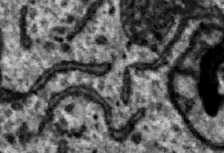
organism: Human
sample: HeLa cells